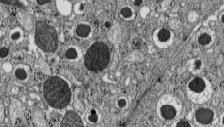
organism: C57BL Mouse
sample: Pancreatic islet